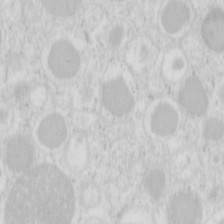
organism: Mouse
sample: Pancreas